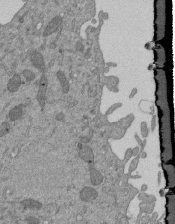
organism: Mouse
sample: ED-1 cell nuclei; centrioles